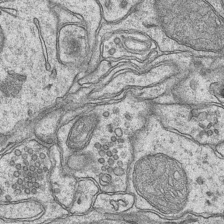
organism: Mouse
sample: CA1 Hippocampus